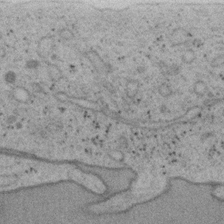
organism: Human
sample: HeLa cells